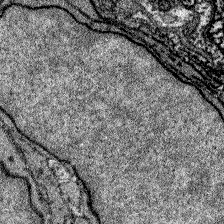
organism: Zebrafish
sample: Larval olfactory bulb